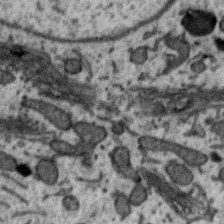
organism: Zebra finch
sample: Brain